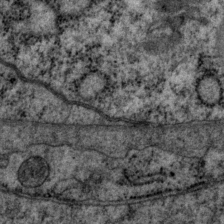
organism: P. pacificus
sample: Pharynx